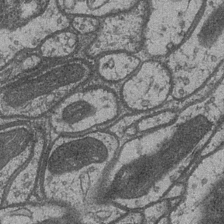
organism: Drosophila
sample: Optic medulla